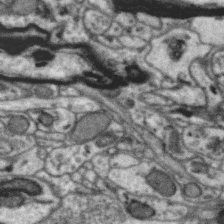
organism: Zebra finch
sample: Brain